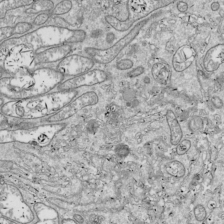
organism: Drosophila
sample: Cell division; meiosis; drosophila spermatocytes